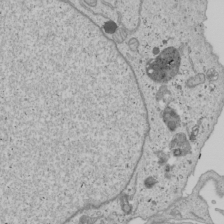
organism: Human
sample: Mitochondria in U2OS cells